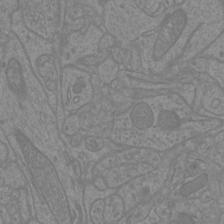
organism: Mouse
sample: Cortical neurons